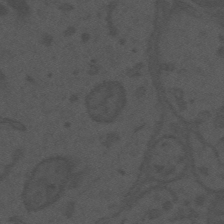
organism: Mouse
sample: Suprachiasmatic nucleus